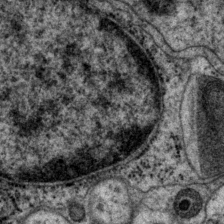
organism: P. pacificus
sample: Pharynx